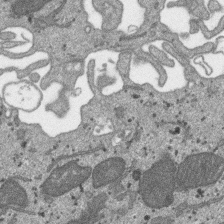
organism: Human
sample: Lung epithelial cells infected with SARS-CoV-2